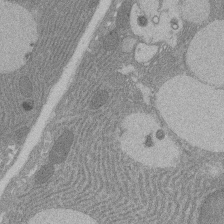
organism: Rat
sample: Salivary granule